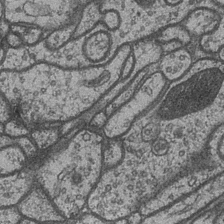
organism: Drosophila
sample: Optic medulla